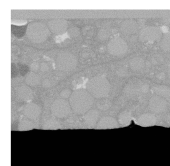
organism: C. elegans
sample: C. elegans oocyte; sperm cells